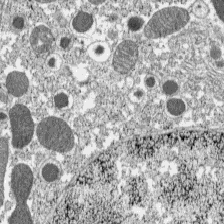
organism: C57BL Mouse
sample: Pancreatic islet